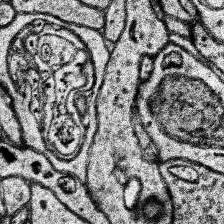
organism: Human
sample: Temporal Lobe